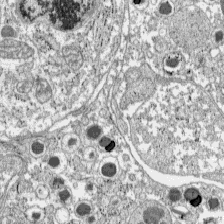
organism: C57BL Mouse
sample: Pancreatic islet